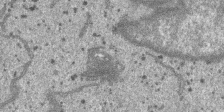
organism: Human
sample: Lung epithelial cells infected with SARS-CoV-2